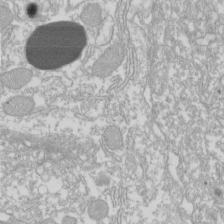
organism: Xenopus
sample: Cilia; centrioles in frog embryo cells